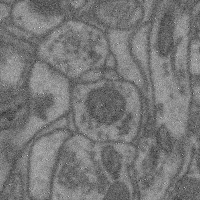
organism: Mouse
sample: Cerebral cortex